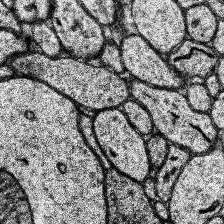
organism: Human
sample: Temporal Lobe